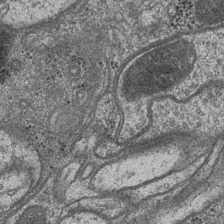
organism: Drosophila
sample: Optic medulla